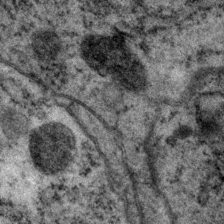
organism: P. pacificus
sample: Pharynx